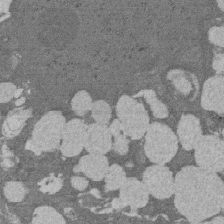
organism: Rat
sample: Salivary granule